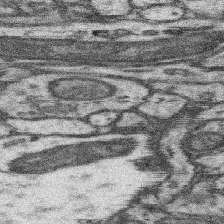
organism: Mouse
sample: Somatosensory cortex neuropil